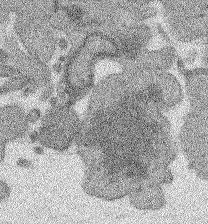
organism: Human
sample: HeLa cells